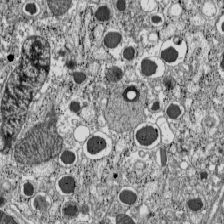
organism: C57BL Mouse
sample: Pancreatic islet